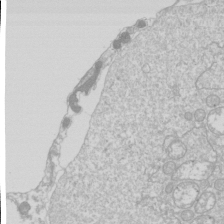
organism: Drosophila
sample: Cell division; meiosis; drosophila spermatocytes